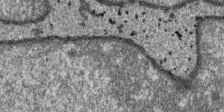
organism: Human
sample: Lung epithelial cells, uninfected (mock) control